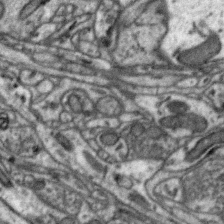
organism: Zebra finch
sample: Brain